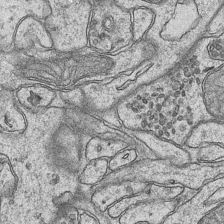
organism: Mouse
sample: CA1 Hippocampus